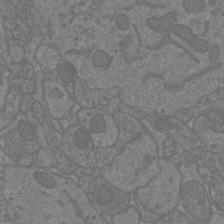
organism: Mouse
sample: Cortical neurons